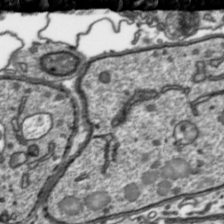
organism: Toxoplasma gondii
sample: Parasites in a vacuole inside a host cell